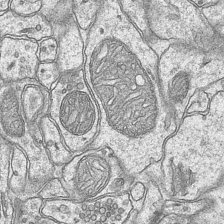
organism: Mouse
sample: CA1 Hippocampus